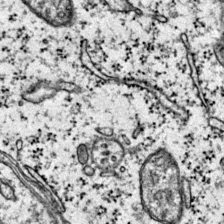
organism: Mouse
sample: Primary visual cortex